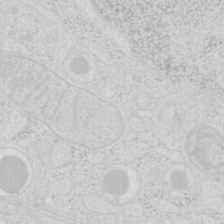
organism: Mouse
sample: Pancreas